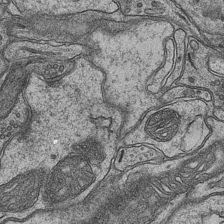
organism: Mouse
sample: CA1 Hippocampus